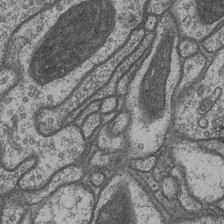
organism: Drosophila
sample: Optic medulla